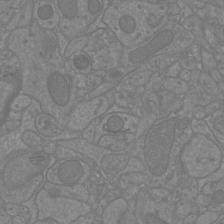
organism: Mouse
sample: Cortical neurons